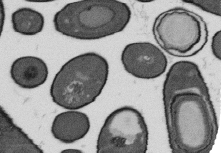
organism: B. subtilis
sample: Bacterial spore